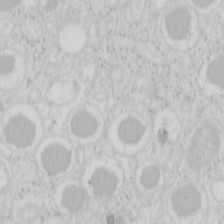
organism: Mouse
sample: Pancreas